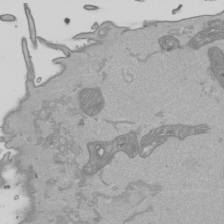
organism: Human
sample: Mitochondria in HCT116 cells